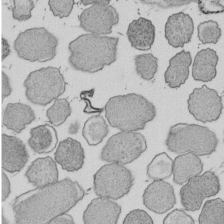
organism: E. coli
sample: Bacterial nucleoid